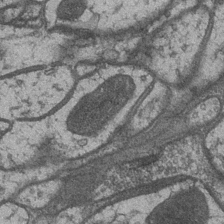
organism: Drosophila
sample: Optic medulla